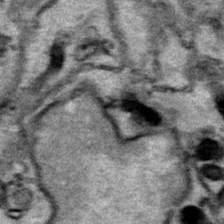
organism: Human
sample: Mitochondria in HCT116 cells